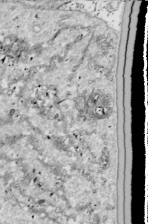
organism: Drosophila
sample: Cell division; meiosis; drosophila spermatocytes